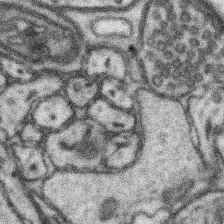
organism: Mouse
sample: Somatosensory cortex neuropil